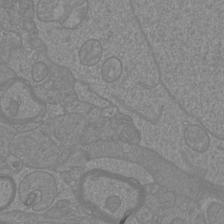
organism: Mouse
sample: Cortical neurons